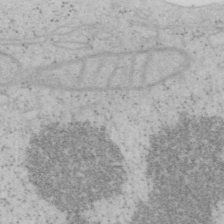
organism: Human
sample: HeLa cells